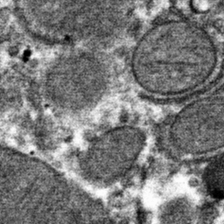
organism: Mouse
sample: Mouse hepatocytes